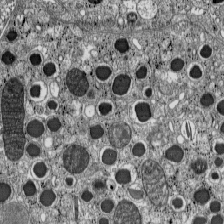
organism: C57BL Mouse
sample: Pancreatic islet